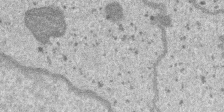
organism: Human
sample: Lung epithelial cells infected with SARS-CoV-2